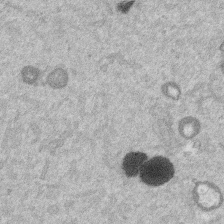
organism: Mouse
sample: Dividing mouse embryo 1 cell stage